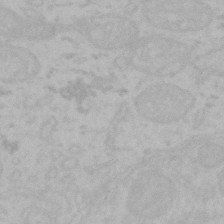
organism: Mouse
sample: Choroid plexus